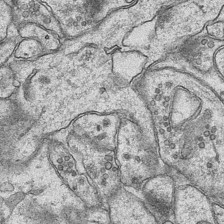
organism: Mouse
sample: CA1 Hippocampus